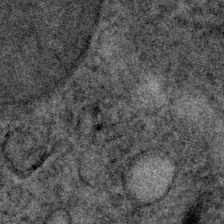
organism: Human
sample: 1205lu cells